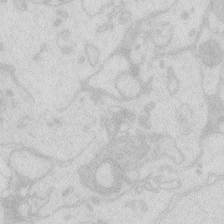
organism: Zebrafish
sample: Macrophage